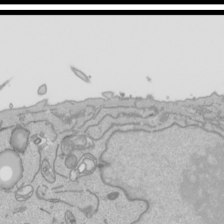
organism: Human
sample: Mitochondria in HCT116 cells